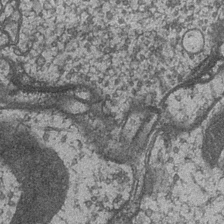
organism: Drosophila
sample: Optic medulla